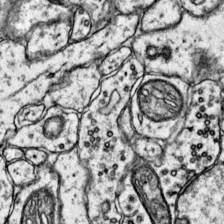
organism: Mouse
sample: Primary visual cortex